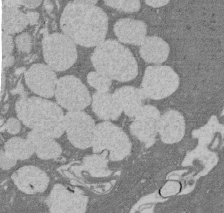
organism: Rat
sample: Salivary granule